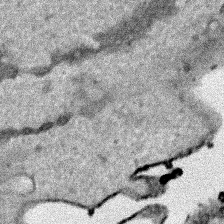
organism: Human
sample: Mitochondria in HCT116 cells